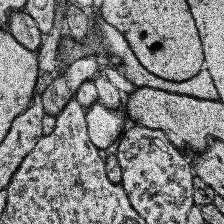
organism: Human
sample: Temporal Lobe